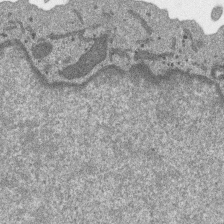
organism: Human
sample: Lung epithelial cells infected with SARS-CoV-2